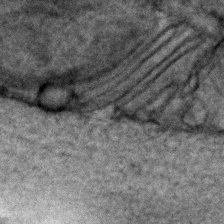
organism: C. elegans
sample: C. elegans embryo